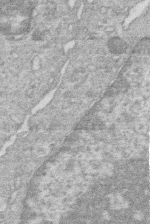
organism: Human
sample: Macrophage cells